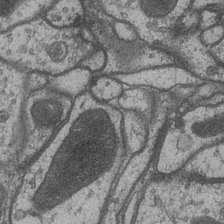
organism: Drosophila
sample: Optic medulla